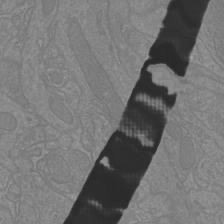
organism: Mouse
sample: Cortical neurons